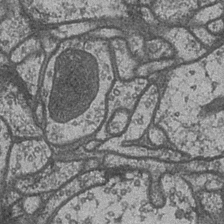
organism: Drosophila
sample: Optic medulla